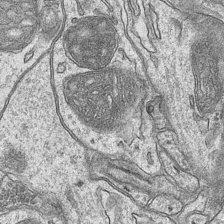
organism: Mouse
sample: CA1 Hippocampus